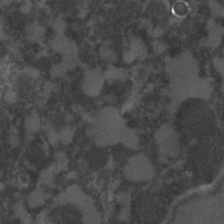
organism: C. elegans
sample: C. elegans embryo